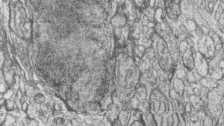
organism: Zebrafish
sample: synaptic ribbons in rod cells and cone cells